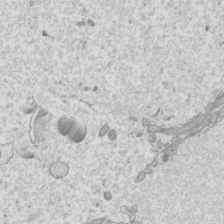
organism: Mouse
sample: Cilia; mouse epididymis